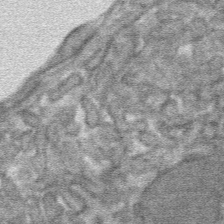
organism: Mouse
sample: Mouse hepatocytes